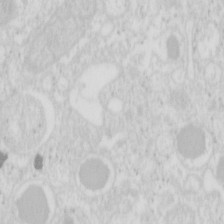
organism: Mouse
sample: Pancreas